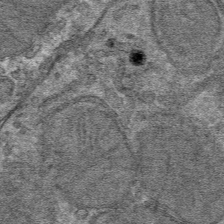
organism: Mouse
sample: Mouse hepatocytes